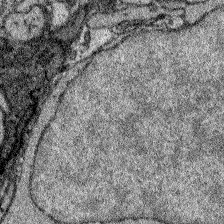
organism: Zebrafish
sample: Larval olfactory bulb